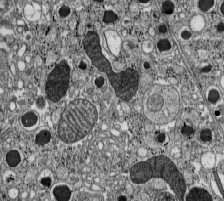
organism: C57BL Mouse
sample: Pancreatic islet